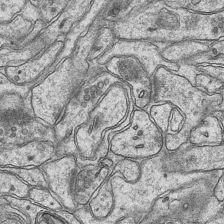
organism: Mouse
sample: CA1 Hippocampus